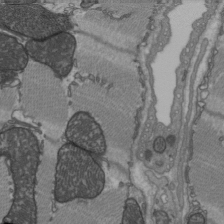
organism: C57BL Mouse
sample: Heart